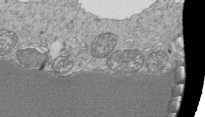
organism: Tetrahymena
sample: Cilia in tetrahymena